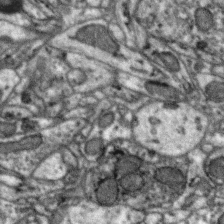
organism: Zebra finch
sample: Brain